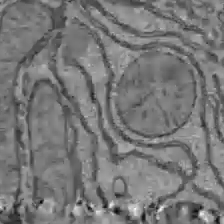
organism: C57BL Mouse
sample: Liver